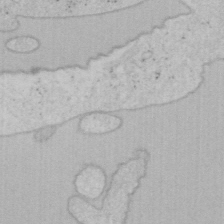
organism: Human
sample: HeLa cells